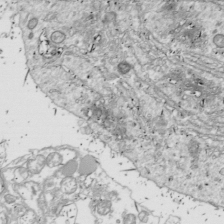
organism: Drosophila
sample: Cell division; meiosis; drosophila spermatocytes